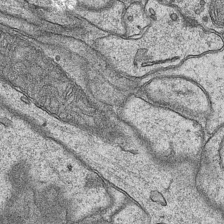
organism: Mouse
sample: CA1 Hippocampus